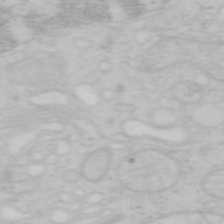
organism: Mouse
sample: OT-I killer T cells with ID8 ovarian cancer cells